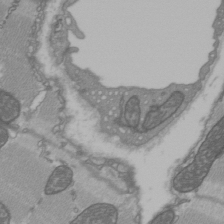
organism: C57BL Mouse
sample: Heart